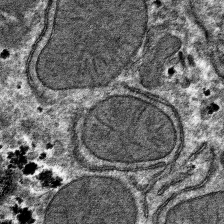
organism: Mouse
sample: Mouse hepatocytes